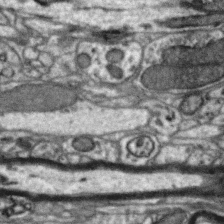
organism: Zebra finch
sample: Brain